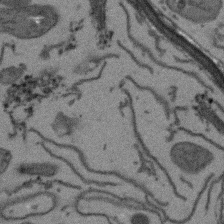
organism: Arabidopsis thaliana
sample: Root tip